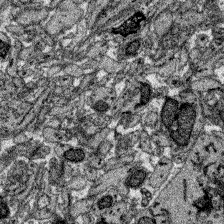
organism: Zebrafish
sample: Larval olfactory bulb